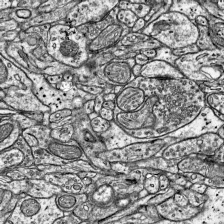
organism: Mouse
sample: Visual Cortex